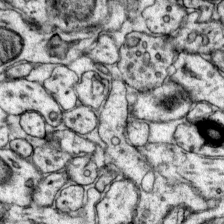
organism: Mouse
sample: Primary visual cortex